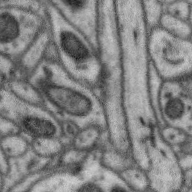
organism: Zebra finch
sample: Brain